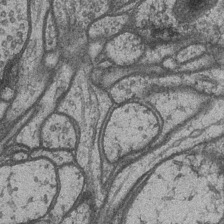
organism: Drosophila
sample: Optic medulla